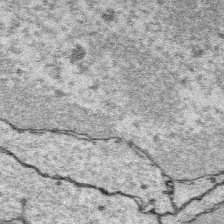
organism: Platynereis dumerilii